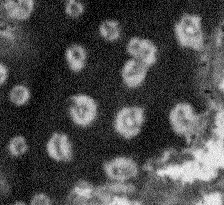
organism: Arabidopsis thaliana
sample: Root tip